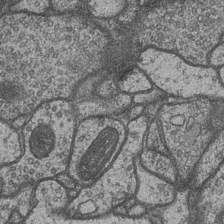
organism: Drosophila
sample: Optic medulla